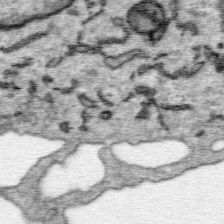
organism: Human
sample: HeLa cells